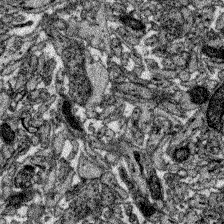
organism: Zebrafish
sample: Larval olfactory bulb